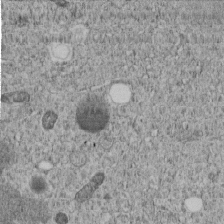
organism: C. elegans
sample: C. elegans embryo early stage